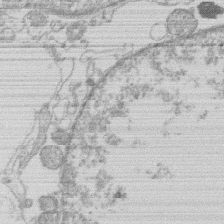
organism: Human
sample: Macrophage cells